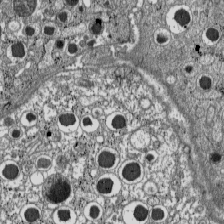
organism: C57BL Mouse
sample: Pancreatic islet